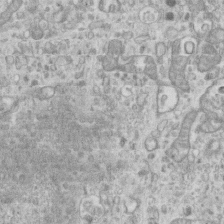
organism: Mouse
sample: Centriole in ependymal cells